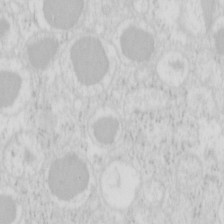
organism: Mouse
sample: Pancreas